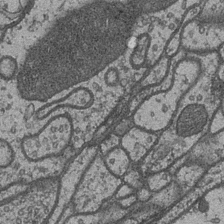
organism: Drosophila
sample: Optic medulla